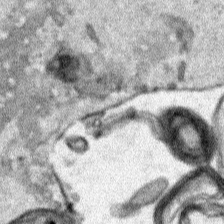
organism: Human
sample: Mitochondria in HCT116 cells